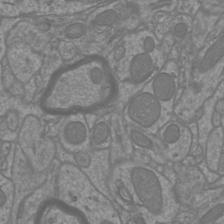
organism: Mouse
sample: Cortical neurons